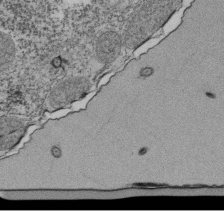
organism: Tetrahymena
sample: Cilia in tetrahymena